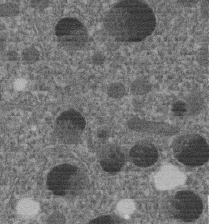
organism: C. elegans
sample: C. elegans embryo early stage